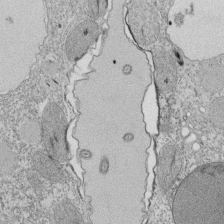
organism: Tetrahymena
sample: Cilia in tetrahymena